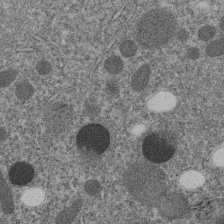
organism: C. elegans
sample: C. elegans embryo early stage